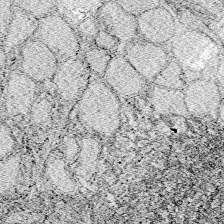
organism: Zebrafish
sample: Whole-Brain